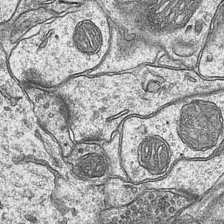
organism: Mouse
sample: CA1 Hippocampus